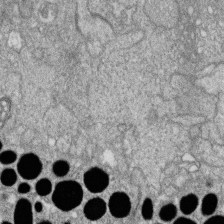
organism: Zebrafish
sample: Cilia; retinal pigment epithelium